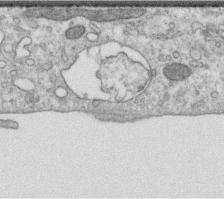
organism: Human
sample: Centriole in RPE cells